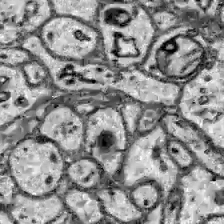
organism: Zebrafish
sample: Brain